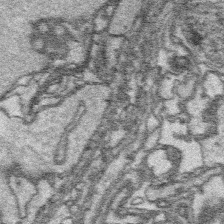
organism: Platynereis dumerilii